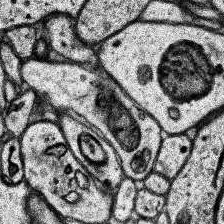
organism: Human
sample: Temporal Lobe